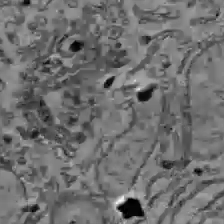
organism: C57BL Mouse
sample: Liver